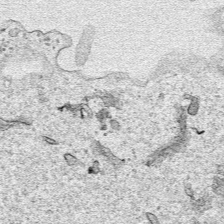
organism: Human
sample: Mitochondria in HCT116 cells